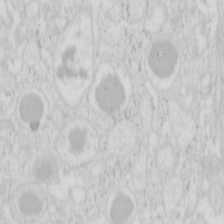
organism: Mouse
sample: Pancreas